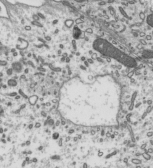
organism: Mouse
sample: Mouse epididymis efferent ductule cilia